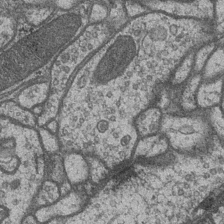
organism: Drosophila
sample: Optic medulla